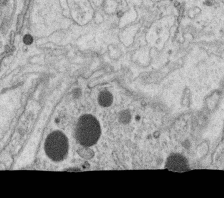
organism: C. elegans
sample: C. elegans oocyte; sperm cells